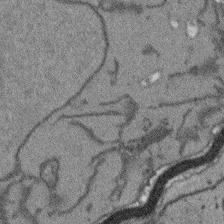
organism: Arabidopsis thaliana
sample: Root tip